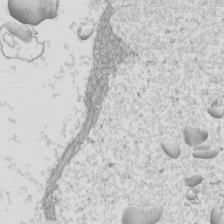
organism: Mouse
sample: Cilia; mouse epididymis